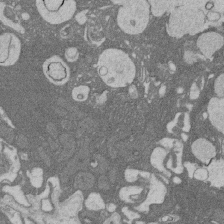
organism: Rat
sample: Salivary granule